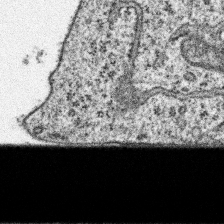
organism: Human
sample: HeLa cells